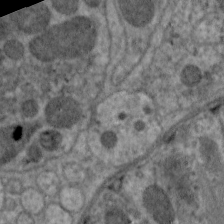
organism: C. elegans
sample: Pharynx